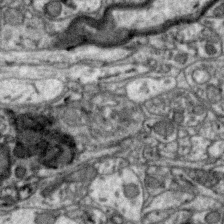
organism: Zebra finch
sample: Brain